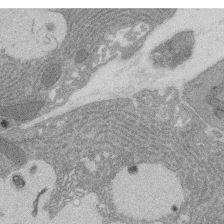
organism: Rat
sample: Salivary granule